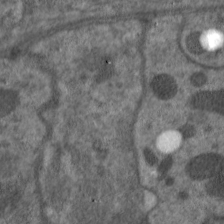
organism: C. elegans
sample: Pharynx